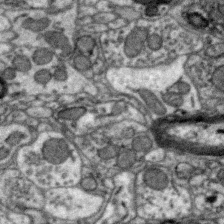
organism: Zebra finch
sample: Brain